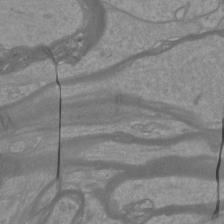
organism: Mouse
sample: Cortical neurons